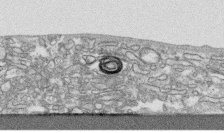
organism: Human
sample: CRL-1474